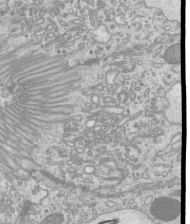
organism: Mouse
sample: Cilia; mouse epididymis